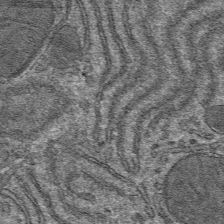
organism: Mouse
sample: Mouse hepatocytes